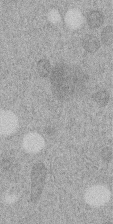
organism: C. elegans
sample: C. elegans embryo early stage